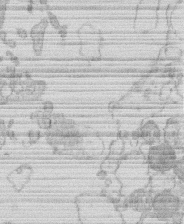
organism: Human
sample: Macrophage cells